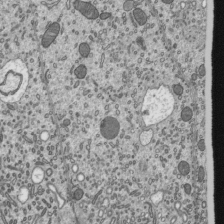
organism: Mouse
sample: Mouse epididymis efferent ductule cilia